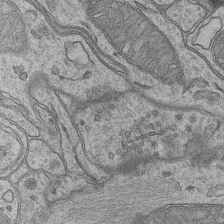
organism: Mouse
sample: CA1 Hippocampus